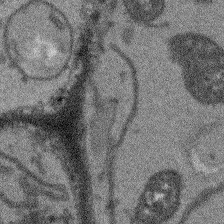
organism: Arabidopsis thaliana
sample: Root tip